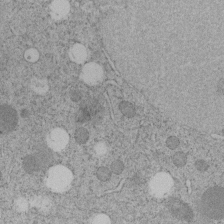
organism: C. elegans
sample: C. elegans embryo early stage